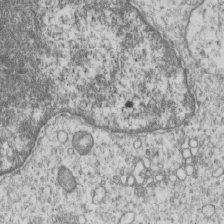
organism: Human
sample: MDA-MB-231 cells